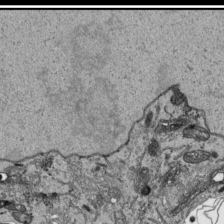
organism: Human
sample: Mitochondria in HCT116 cells